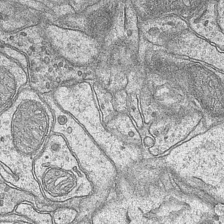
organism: Mouse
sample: CA1 Hippocampus